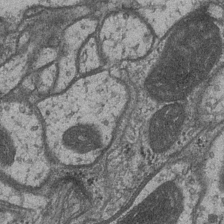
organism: Drosophila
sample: Optic medulla